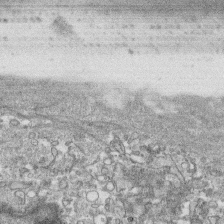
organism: Human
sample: CRL-1474